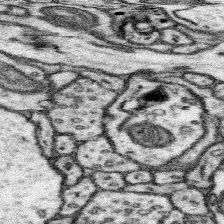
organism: Mouse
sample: Somatosensory cortex neuropil